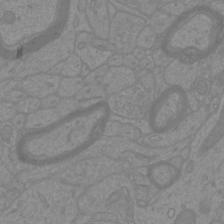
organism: Mouse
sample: Cortical neurons